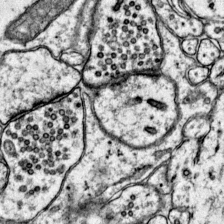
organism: Mouse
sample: Primary visual cortex